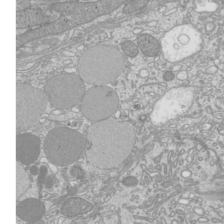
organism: Mouse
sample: Cilia; mouse epididymis